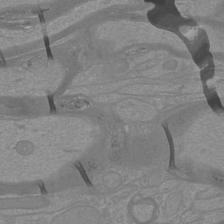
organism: Mouse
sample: Cortical neurons